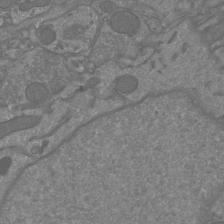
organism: Mouse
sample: Cortical neurons